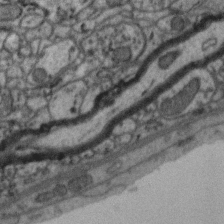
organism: Zebra finch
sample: Brain